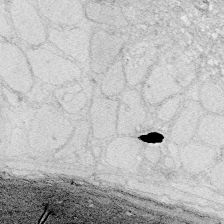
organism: Zebrafish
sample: Whole-Brain